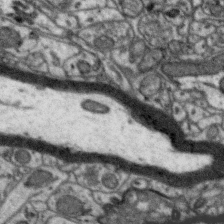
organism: Zebra finch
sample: Brain